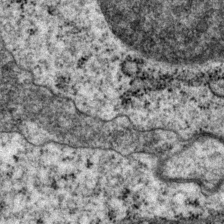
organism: P. pacificus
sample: Pharynx